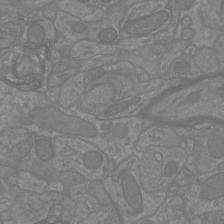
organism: Mouse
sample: Cortical neurons